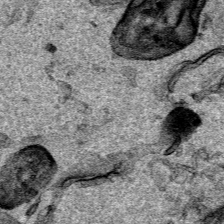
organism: Human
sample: Mitochondria in HCT116 cells